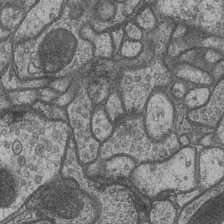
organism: Drosophila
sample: Optic medulla